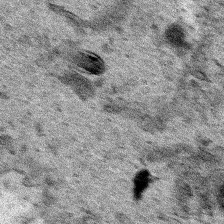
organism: Human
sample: Mitochondria in HCT116 cells